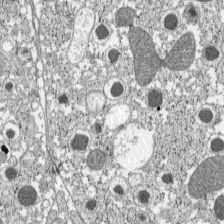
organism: C57BL Mouse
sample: Pancreatic islet